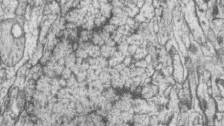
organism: Zebrafish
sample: synaptic ribbons in rod cells and cone cells